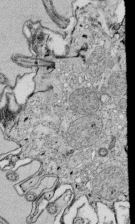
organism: Tetrahymena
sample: Cilia in tetrahymena